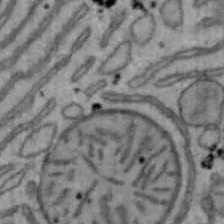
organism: Mouse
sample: Liver